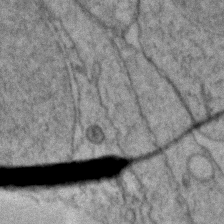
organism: Zebrafish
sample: Zebrafish embryo